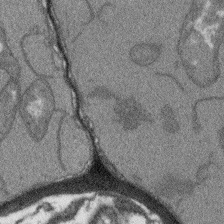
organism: Arabidopsis thaliana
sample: Root tip